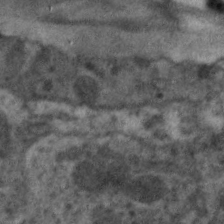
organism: C. elegans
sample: Pharynx